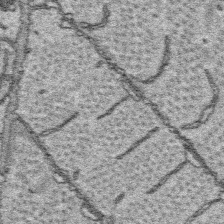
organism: Platynereis dumerilii